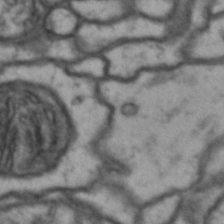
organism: Drosophila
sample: Brain